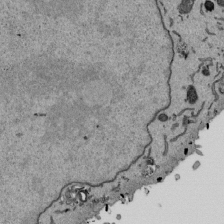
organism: Mouse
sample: ED-1 cell nuclei; centrioles